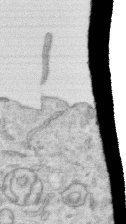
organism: Human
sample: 1205lu cells